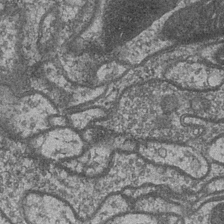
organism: Drosophila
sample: Optic medulla